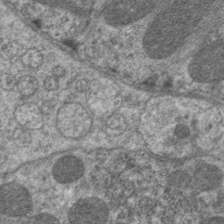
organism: C. elegans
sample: Pharynx